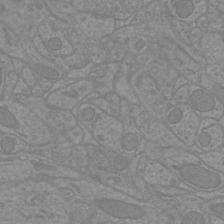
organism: Mouse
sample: Cortical neurons